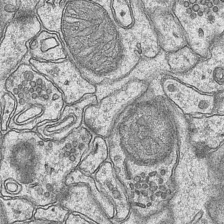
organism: Mouse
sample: CA1 Hippocampus